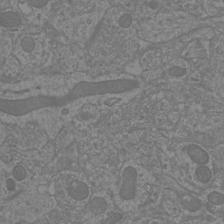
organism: Mouse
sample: Cortical neurons